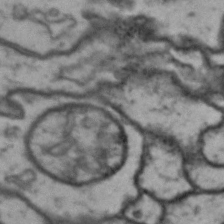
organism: Drosophila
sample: Brain